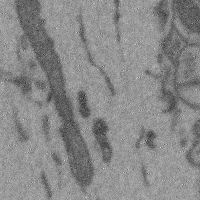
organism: Mouse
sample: Cerebral cortex